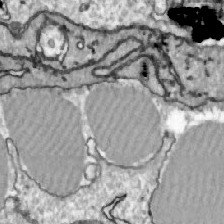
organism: Zebrafish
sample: Actinotrichia fibers